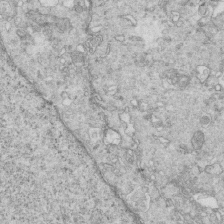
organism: Mouse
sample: Multiciliated cells